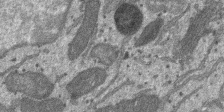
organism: Human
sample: Lung epithelial cells infected with SARS-CoV-2